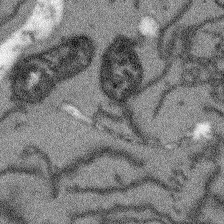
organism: Arabidopsis thaliana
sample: Root tip